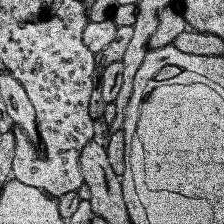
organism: Human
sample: Temporal Lobe